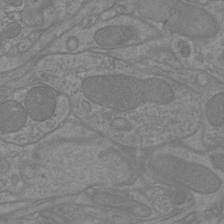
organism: Mouse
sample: Cortical neurons